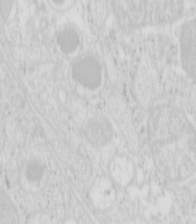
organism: Mouse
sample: Pancreas